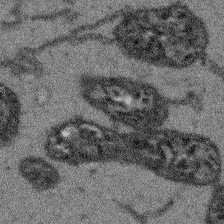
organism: Arabidopsis thaliana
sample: Root tip